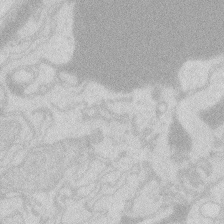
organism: Zebrafish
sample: Macrophage